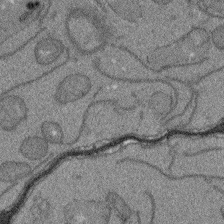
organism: Arabidopsis thaliana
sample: Root tip